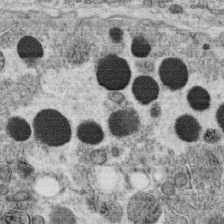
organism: C. elegans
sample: C. elegans oocyte; sperm cells